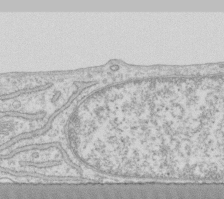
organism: Human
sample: Fibroblast cells